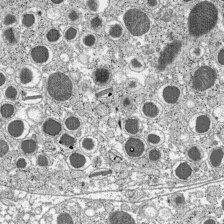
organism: C57BL Mouse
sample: Pancreatic islet